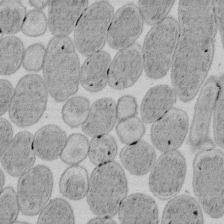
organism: E. coli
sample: Bacterial nucleoid